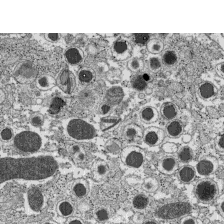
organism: C57BL Mouse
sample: Pancreatic islet